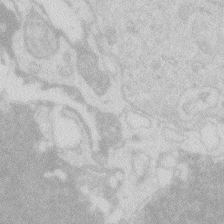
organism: Zebrafish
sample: Macrophage